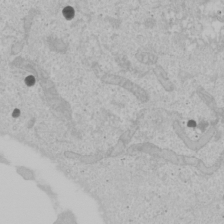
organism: Human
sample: Mitochondria in U2OS cells